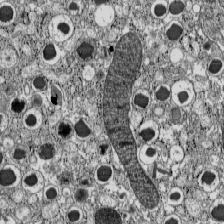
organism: C57BL Mouse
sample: Pancreatic islet